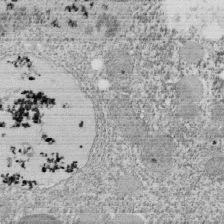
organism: Tetrahymena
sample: Cilia in tetrahymena